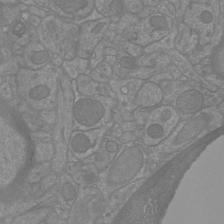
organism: Mouse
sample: Cortical neurons